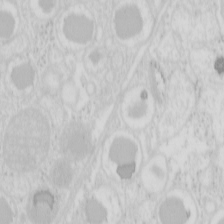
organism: Mouse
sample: Pancreas